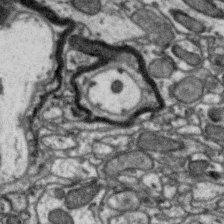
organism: Zebra finch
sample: Brain